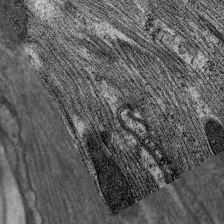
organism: C. elegans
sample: Pharynx